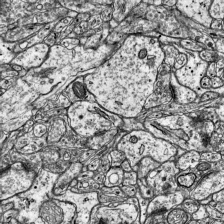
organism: Mouse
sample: Visual Cortex